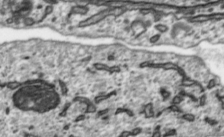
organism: Toxoplasma gondii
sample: Parasites in a vacuole inside a host cell